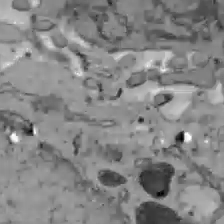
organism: C57BL Mouse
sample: Liver